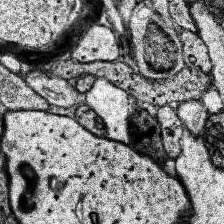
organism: Human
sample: Temporal Lobe